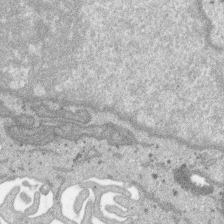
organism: Human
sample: Lung epithelial cells infected with SARS-CoV-2